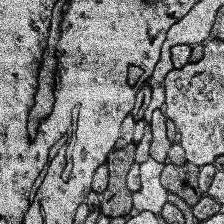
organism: Human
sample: Temporal Lobe